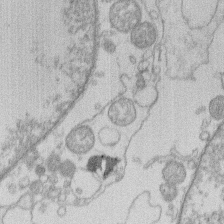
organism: Human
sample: Macrophage cells